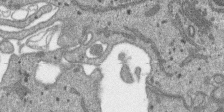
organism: Human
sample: Lung epithelial cells infected with SARS-CoV-2